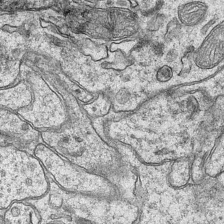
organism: Mouse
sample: CA1 Hippocampus